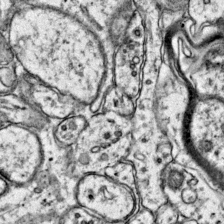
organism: Mouse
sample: Primary visual cortex